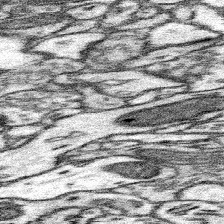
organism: Mouse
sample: Somatosensory cortex neuropil